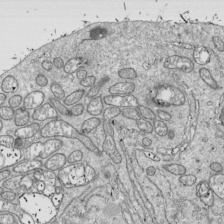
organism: Drosophila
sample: Cell division; meiosis; drosophila spermatocytes